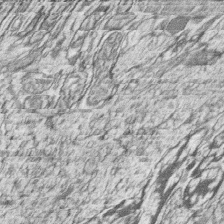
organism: Zebrafish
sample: synaptic ribbons in rod cells and cone cells